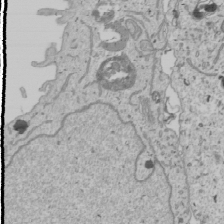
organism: Human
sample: Mitochondria in U2OS cells